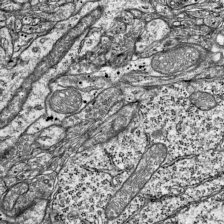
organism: Mouse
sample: Visual Cortex